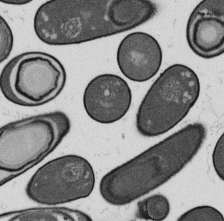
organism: B. subtilis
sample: Bacterial spore